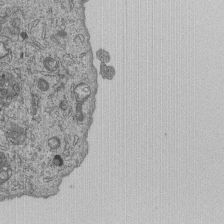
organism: Human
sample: MDA-MB-231 cells